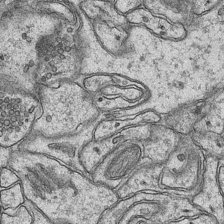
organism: Mouse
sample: CA1 Hippocampus